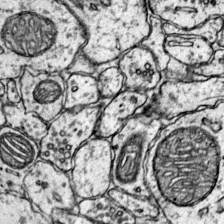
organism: Mouse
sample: Primary visual cortex